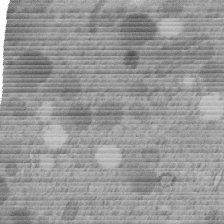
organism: C. elegans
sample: C. elegans embryo early stage